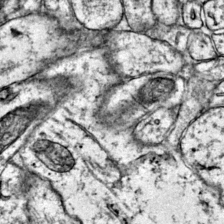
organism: Mouse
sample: Primary visual cortex